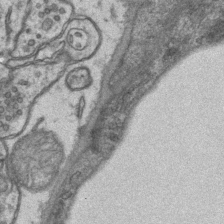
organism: Mouse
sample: CA1 Hippocampus